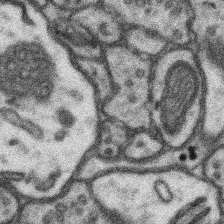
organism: Mouse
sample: Somatosensory cortex neuropil